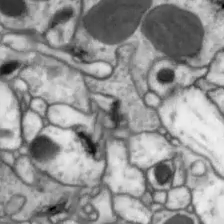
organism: Drosophila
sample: Optic lobe